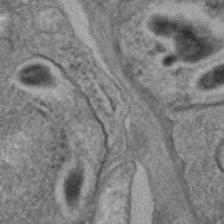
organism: C. elegans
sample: C. elegans embryo